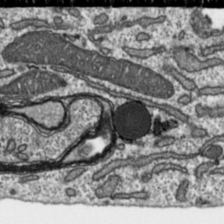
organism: Toxoplasma gondii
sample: Parasites in a vacuole inside a host cell